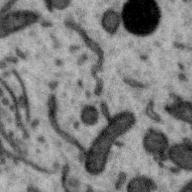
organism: Zebra finch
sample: Brain